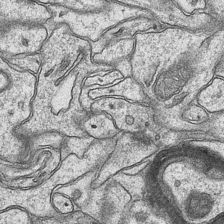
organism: Mouse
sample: CA1 Hippocampus